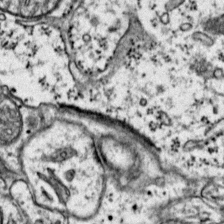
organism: Mouse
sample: Primary visual cortex